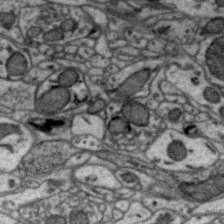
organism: Zebra finch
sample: Brain